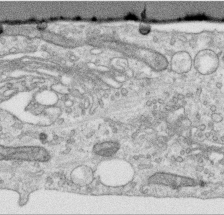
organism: Human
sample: Centriole in RPE cells